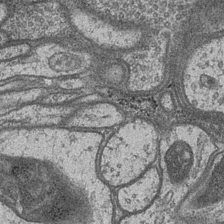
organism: Drosophila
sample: Optic medulla